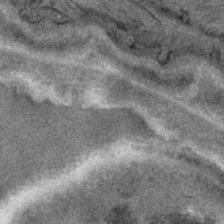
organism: C. elegans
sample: C. elegans embryo